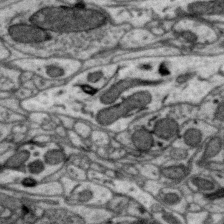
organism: Zebra finch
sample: Brain